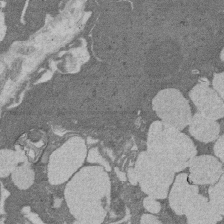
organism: Rat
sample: Salivary granule